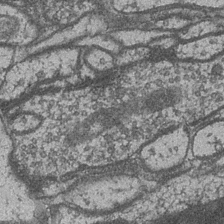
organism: Drosophila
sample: Optic medulla